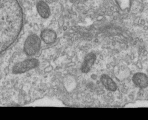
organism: Human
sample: Centriole in RPE cells